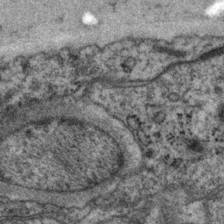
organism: P. pacificus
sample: Pharynx